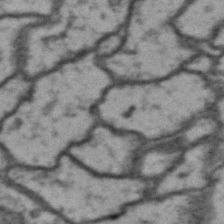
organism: Drosophila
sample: Brain